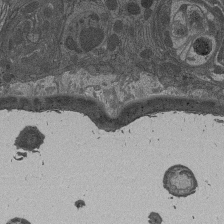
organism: Drosophila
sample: Antenna